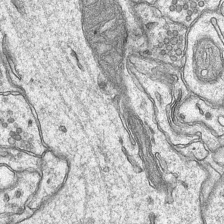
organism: Mouse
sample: CA1 Hippocampus